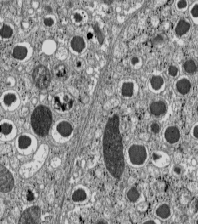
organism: C57BL Mouse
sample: Pancreatic islet